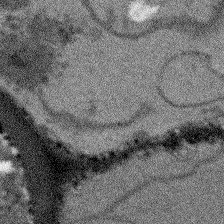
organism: Arabidopsis thaliana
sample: Root tip